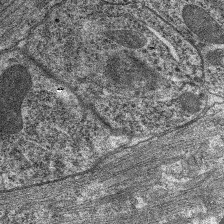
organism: C. elegans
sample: Pharynx